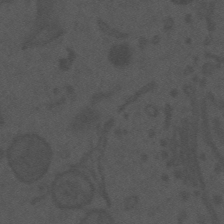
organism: Mouse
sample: Suprachiasmatic nucleus